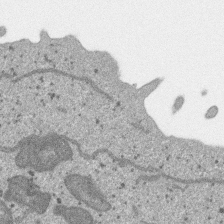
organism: Human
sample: Lung epithelial cells infected with SARS-CoV-2